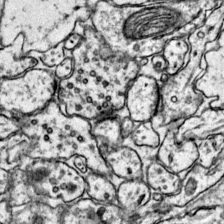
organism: Mouse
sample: Primary visual cortex